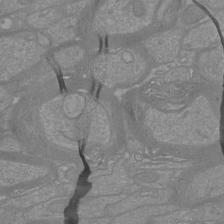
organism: Mouse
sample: Cortical neurons